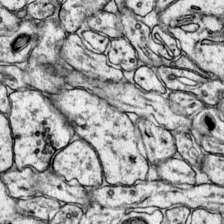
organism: Mouse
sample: Primary visual cortex